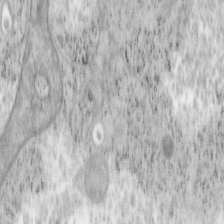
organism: Human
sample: HeLa cells